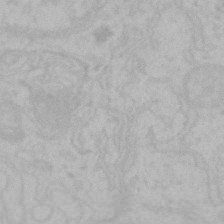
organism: Mouse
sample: Choroid plexus